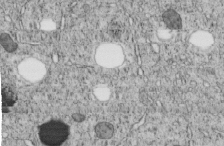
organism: C. elegans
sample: C. elegans embryo early stage